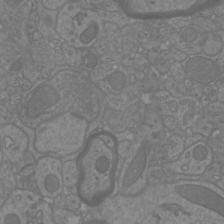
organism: Mouse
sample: Cortical neurons